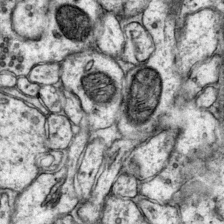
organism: Mouse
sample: Primary visual cortex